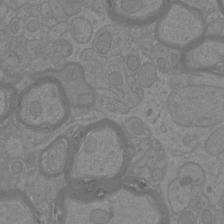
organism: Mouse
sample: Cortical neurons